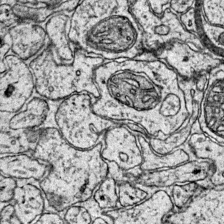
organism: Mouse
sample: Primary visual cortex